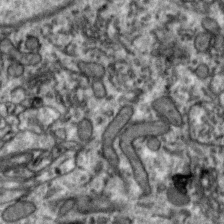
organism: Zebra finch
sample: Brain